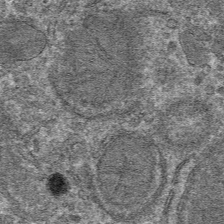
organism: Mouse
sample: Mouse hepatocytes